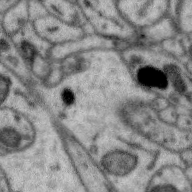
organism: Zebra finch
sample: Brain